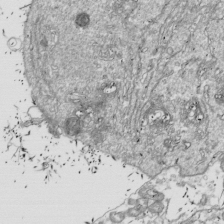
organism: Drosophila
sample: Cell division; meiosis; drosophila spermatocytes